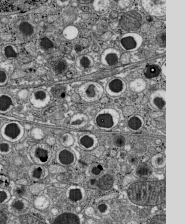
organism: C57BL Mouse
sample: Pancreatic islet